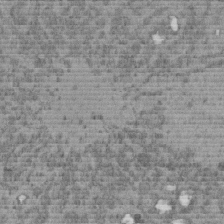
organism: C. elegans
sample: C. elegans embryo early stage